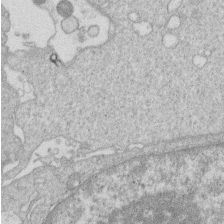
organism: Human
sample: Macrophage cells